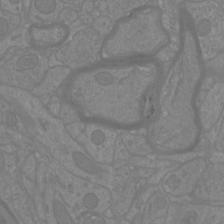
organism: Mouse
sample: Cortical neurons